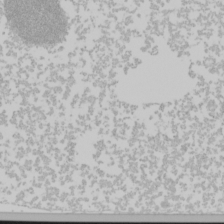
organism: Mouse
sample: Cancer cell death in ED-1 cells